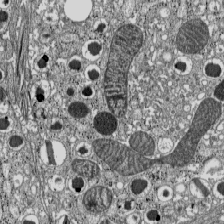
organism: C57BL Mouse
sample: Pancreatic islet